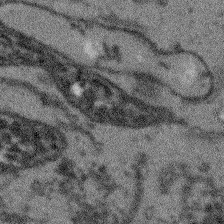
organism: Arabidopsis thaliana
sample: Root tip